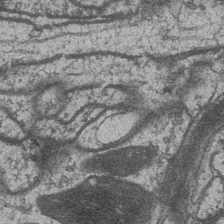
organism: Drosophila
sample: Optic medulla